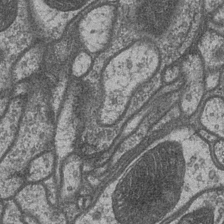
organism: Drosophila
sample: Optic medulla